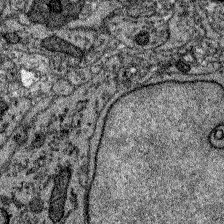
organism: Zebrafish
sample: Larval olfactory bulb